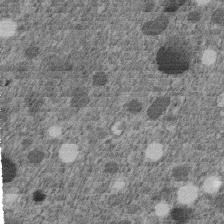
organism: C. elegans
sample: C. elegans embryo early stage